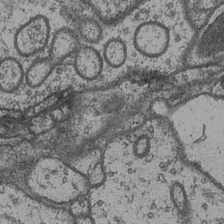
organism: Drosophila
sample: Optic medulla